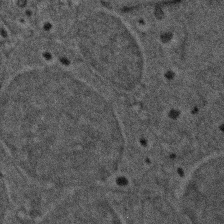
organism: Zebrafish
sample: Zebrafish embryo